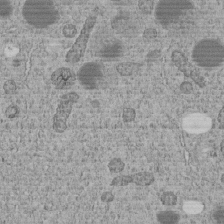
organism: C. elegans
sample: C. elegans embryo early stage